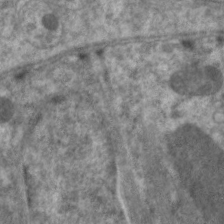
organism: C. elegans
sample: Pharynx